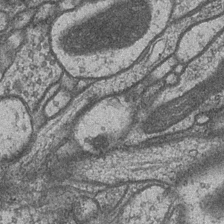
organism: Drosophila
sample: Optic medulla